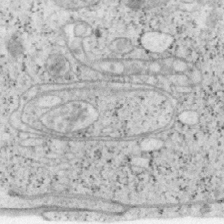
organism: Mouse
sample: OT-I killer T cells with ID8 ovarian cancer cells